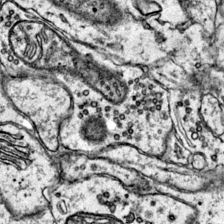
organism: Mouse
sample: Primary visual cortex